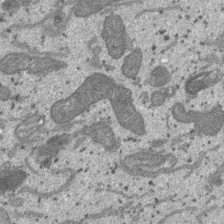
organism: Human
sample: Lung epithelial cells infected with SARS-CoV-2